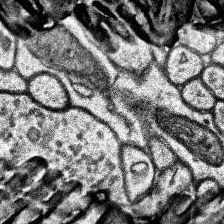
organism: Human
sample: Temporal Lobe